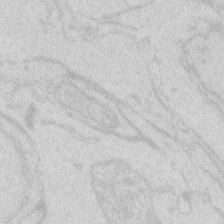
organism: Zebrafish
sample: Macrophage